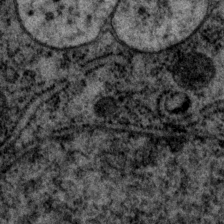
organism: P. pacificus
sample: Pharynx